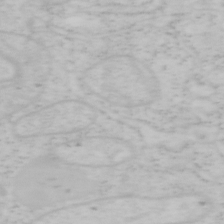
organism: Mouse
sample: OT-I killer T cells with ID8 ovarian cancer cells